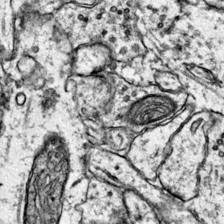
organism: Mouse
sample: Primary visual cortex